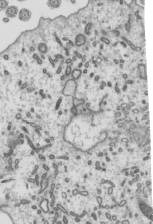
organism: Mouse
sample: Mouse epididymis efferent ductule cilia